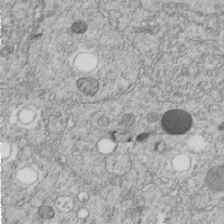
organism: C. elegans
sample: C. elegans embryo early stage